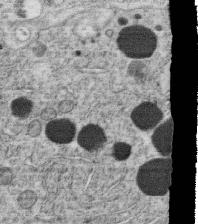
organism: C. elegans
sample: C. elegans oocyte; sperm cells